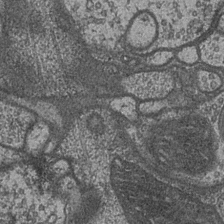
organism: Drosophila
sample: Optic medulla